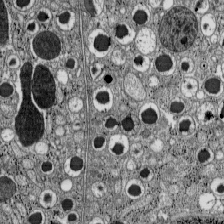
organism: C57BL Mouse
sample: Pancreatic islet